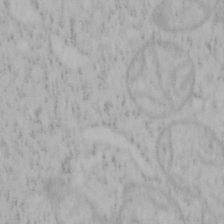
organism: Mouse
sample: OT-I killer T cells with ID8 ovarian cancer cells